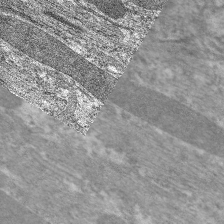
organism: C. elegans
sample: Pharynx